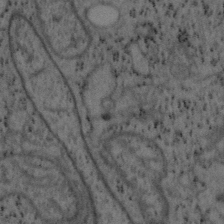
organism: Human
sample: HeLa cells